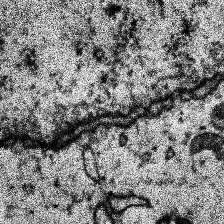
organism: Human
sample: Temporal Lobe